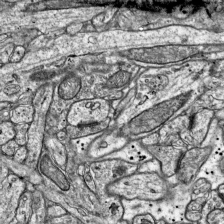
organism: Mouse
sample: Visual Cortex